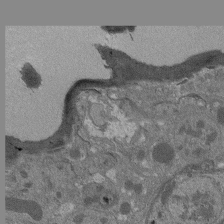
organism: Drosophila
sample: Antenna